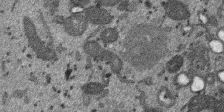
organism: Human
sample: Lung epithelial cells infected with SARS-CoV-2